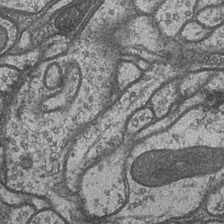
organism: Drosophila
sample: Optic medulla